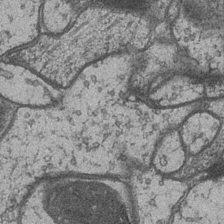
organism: Drosophila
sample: Optic medulla